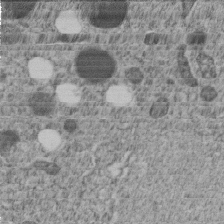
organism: C. elegans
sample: C. elegans embryo early stage